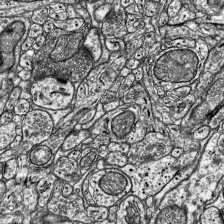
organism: Mouse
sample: Visual Cortex